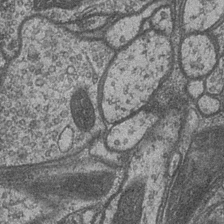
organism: Drosophila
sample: Optic medulla